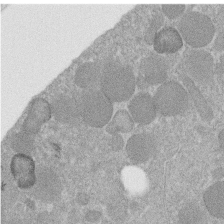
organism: C. elegans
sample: C. elegans embryo early stage